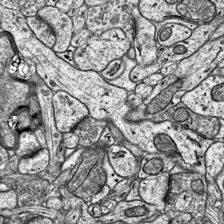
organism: Mouse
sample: Visual Cortex